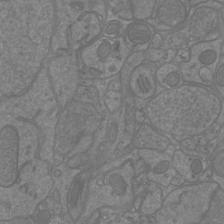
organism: Mouse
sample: Cortical neurons